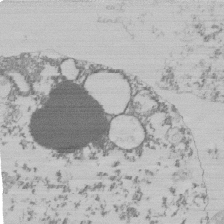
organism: Mouse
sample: Activated Pmel transgenic CD8+ T Cells